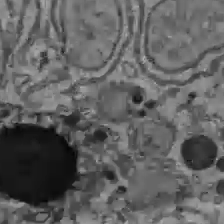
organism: C57BL Mouse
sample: Liver